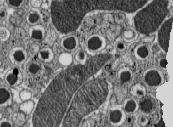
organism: C57BL Mouse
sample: Pancreatic islet